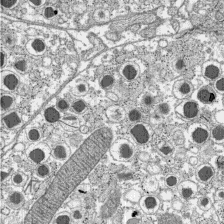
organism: C57BL Mouse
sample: Pancreatic islet